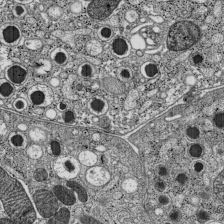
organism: C57BL Mouse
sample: Pancreatic islet